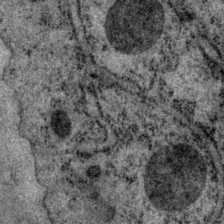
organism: P. pacificus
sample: Pharynx